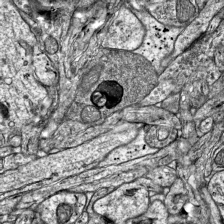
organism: Mouse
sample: Visual Cortex